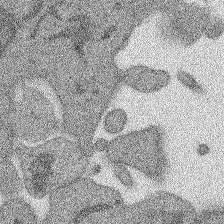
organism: Human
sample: HeLa cells